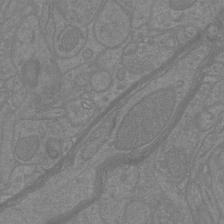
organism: Mouse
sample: Cortical neurons